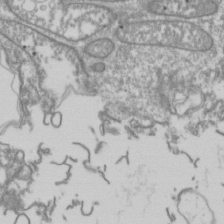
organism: Drosophila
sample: Cell division; meiosis; drosophila spermatocytes